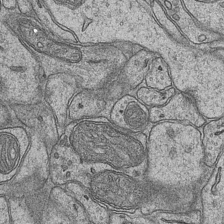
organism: Mouse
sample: CA1 Hippocampus